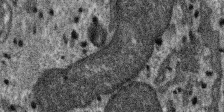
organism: Human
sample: Lung epithelial cells infected with SARS-CoV-2